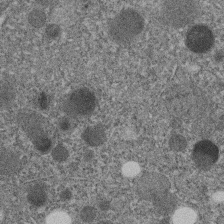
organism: C. elegans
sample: C. elegans embryo early stage